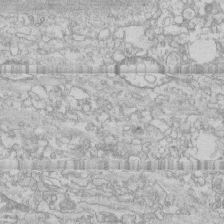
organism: Human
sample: CRL-1474